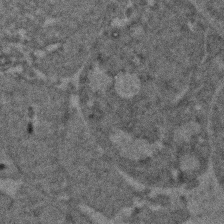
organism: Zebrafish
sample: Zebrafish embryo